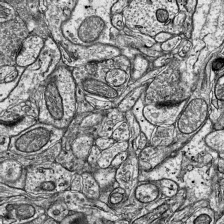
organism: Mouse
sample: Visual Cortex